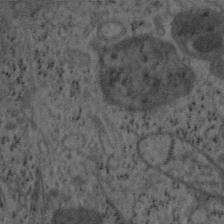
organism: Human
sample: HeLa cells